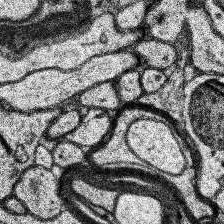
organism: Human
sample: Temporal Lobe